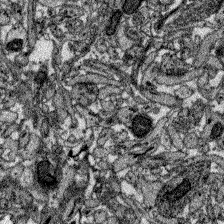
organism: Zebrafish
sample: Larval olfactory bulb